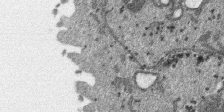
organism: Human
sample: Lung epithelial cells infected with SARS-CoV-2